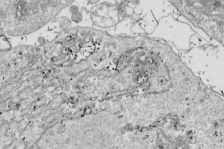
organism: Drosophila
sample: Cell division; meiosis; drosophila spermatocytes